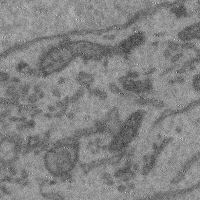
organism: Mouse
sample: Cerebral cortex